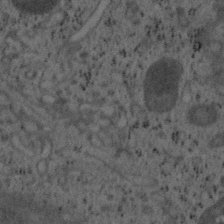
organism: Human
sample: HeLa cells